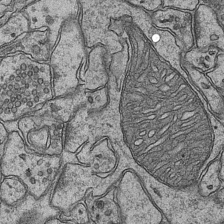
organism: Mouse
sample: CA1 Hippocampus